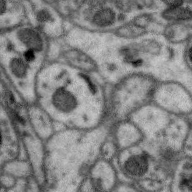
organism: Zebra finch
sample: Brain